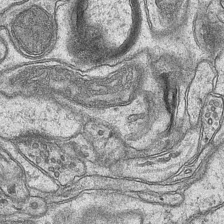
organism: Mouse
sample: CA1 Hippocampus